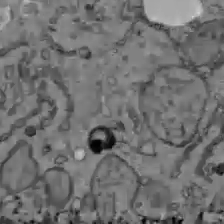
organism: C57BL Mouse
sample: Liver